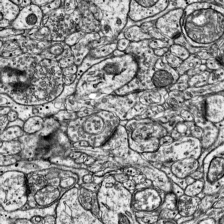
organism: Mouse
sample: Visual Cortex